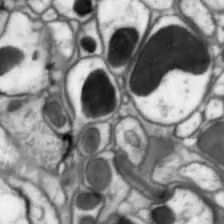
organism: Drosophila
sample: Optic lobe